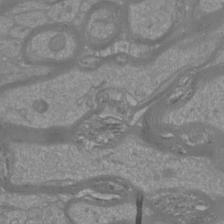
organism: Mouse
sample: Cortical neurons